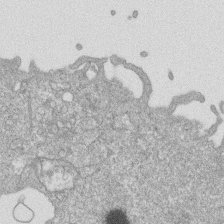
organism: Human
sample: HeLa cell HIV synapse